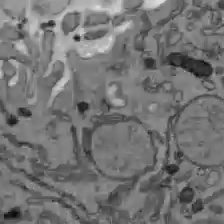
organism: C57BL Mouse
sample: Liver